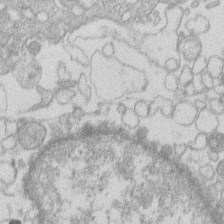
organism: Human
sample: Macrophage cells